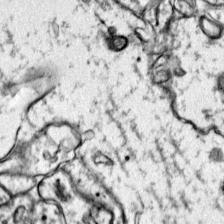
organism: Mouse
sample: Primary visual cortex